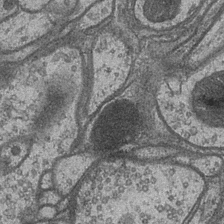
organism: Drosophila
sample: Optic medulla